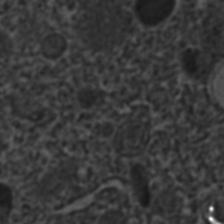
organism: C. elegans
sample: C. elegans embryo